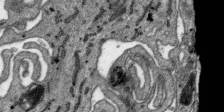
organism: Human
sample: Lung epithelial cells, uninfected (mock) control